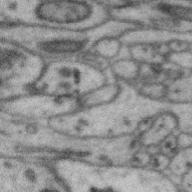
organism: Zebra finch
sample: Brain